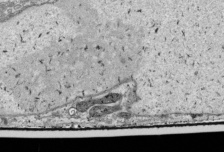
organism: Human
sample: Mitochondria in HCT116 cells